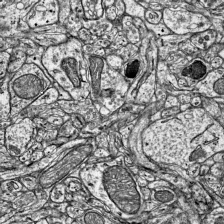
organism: Mouse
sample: Visual Cortex